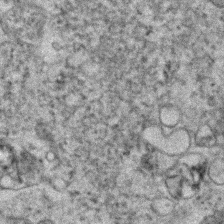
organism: Human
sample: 1205lu cells